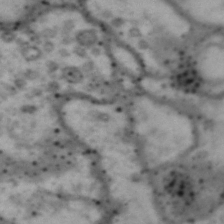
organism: Drosophila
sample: Brain